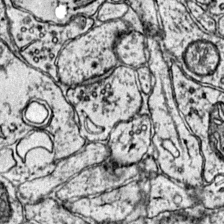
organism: Mouse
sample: Primary visual cortex